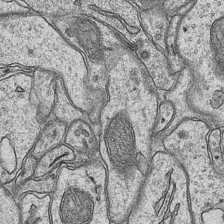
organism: Mouse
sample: CA1 Hippocampus